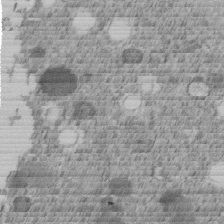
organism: C. elegans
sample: C. elegans embryo early stage